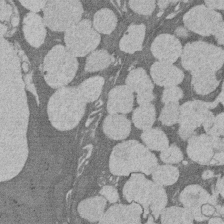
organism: Rat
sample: Salivary granule